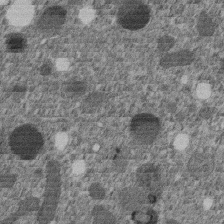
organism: C. elegans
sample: C. elegans embryo early stage